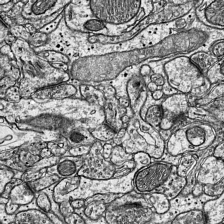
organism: Mouse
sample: Visual Cortex